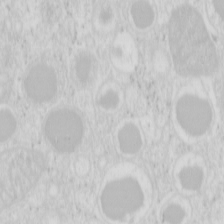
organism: Mouse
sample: Pancreas